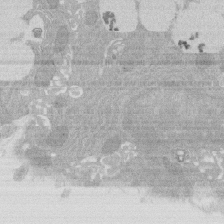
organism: Rat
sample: Salivary granule